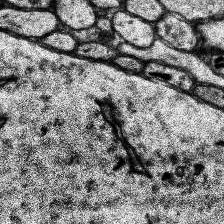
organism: Human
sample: Temporal Lobe